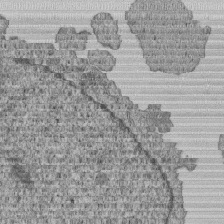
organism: Human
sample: MDA-MB-231 cells